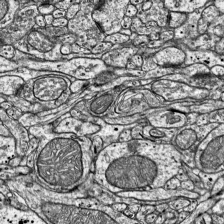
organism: Mouse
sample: Visual Cortex